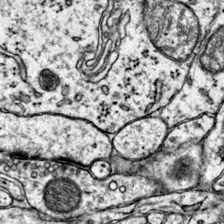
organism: Mouse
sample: Primary visual cortex